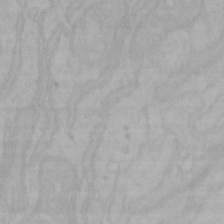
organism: Mouse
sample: Choroid plexus